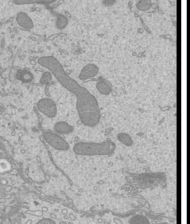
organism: Mouse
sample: Cilia; mouse epididymis